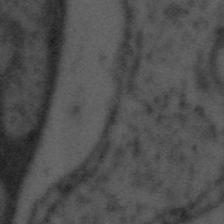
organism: Tuwongella immobilis